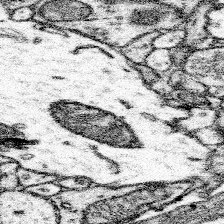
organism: Mouse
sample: Somatosensory cortex neuropil